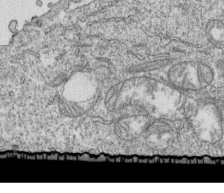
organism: Human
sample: HeLa cell HIV synapse